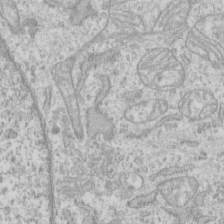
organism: Human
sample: CRL-1474